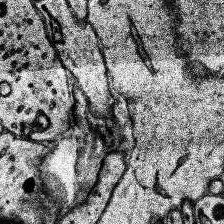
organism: Human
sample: Temporal Lobe